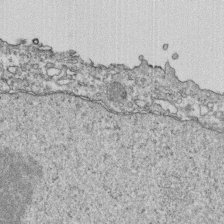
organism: Human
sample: HeLa cell HIV synapse